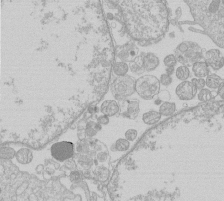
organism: Human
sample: Macrophage cells